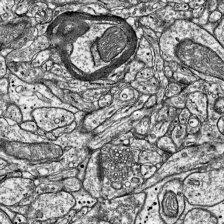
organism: Mouse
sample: Visual Cortex